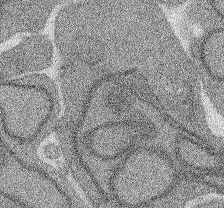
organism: Human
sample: HeLa cells